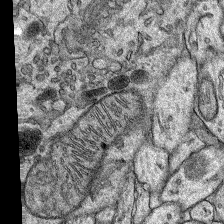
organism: Rat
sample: Hippocampus